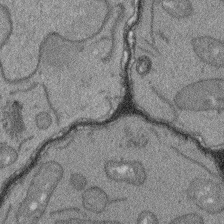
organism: Arabidopsis thaliana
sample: Root tip